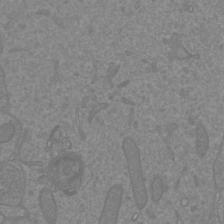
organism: Mouse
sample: Cortical neurons